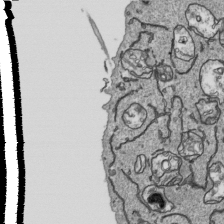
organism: Human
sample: Mitochondria in HCT116 cells